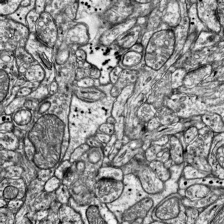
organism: Mouse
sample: Visual Cortex